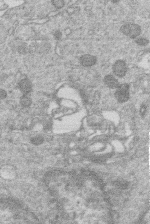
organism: Human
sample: Macrophage cells